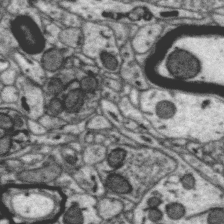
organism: Zebra finch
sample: Brain